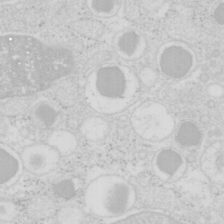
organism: Mouse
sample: Pancreas